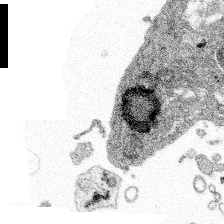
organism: Spongilla lacustris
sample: Multiple